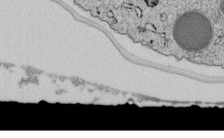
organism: C. elegans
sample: C. elegans embryo early stage